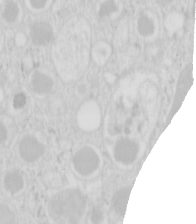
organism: Mouse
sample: Pancreas